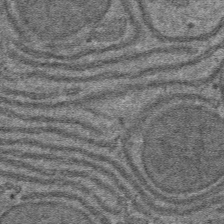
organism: Mouse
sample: Mouse hepatocytes